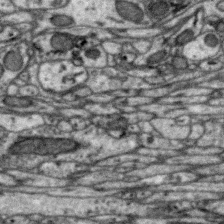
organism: Zebra finch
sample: Brain